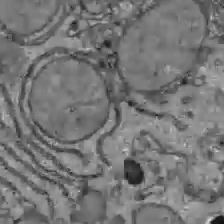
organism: C57BL Mouse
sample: Liver